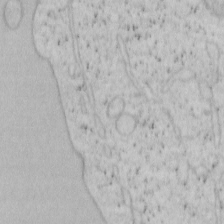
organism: Human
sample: HeLa cells